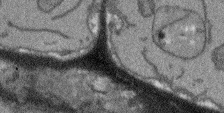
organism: Arabidopsis thaliana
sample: Root tip